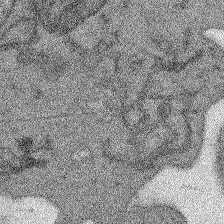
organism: Human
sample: HeLa cells